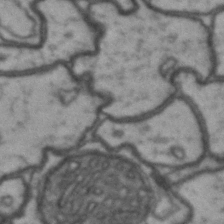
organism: Drosophila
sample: Brain